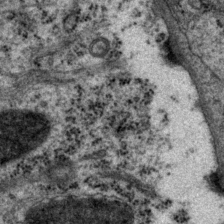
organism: P. pacificus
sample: Pharynx